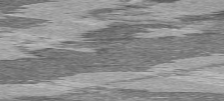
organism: C57BL Mouse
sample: Heart